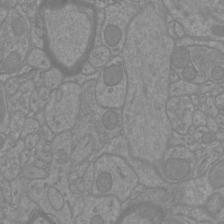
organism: Mouse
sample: Cortical neurons